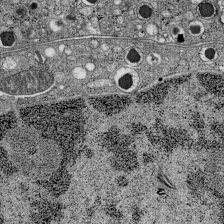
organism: C57BL Mouse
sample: Pancreatic islet